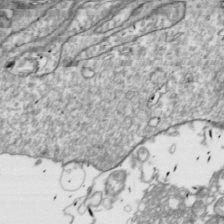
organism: Drosophila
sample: Cell division; meiosis; drosophila spermatocytes